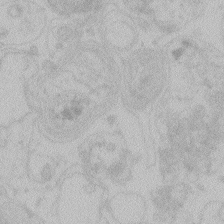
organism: Zebrafish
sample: Macrophage infected with Toxoplasma gondii